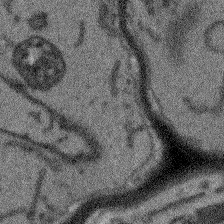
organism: Arabidopsis thaliana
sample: Root tip